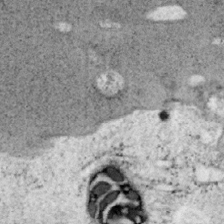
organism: Mouse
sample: OT-I killer T cells with ID8 ovarian cancer cells